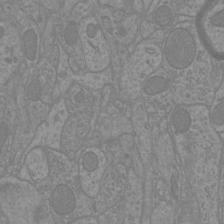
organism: Mouse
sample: Cortical neurons